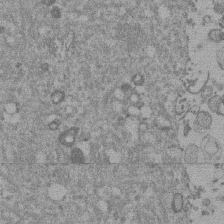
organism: Mouse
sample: Dividing mouse embryo 1 cell stage